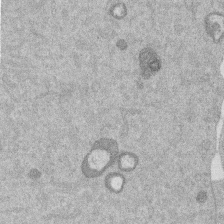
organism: Mouse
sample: Dividing mouse embryo 1 cell stage